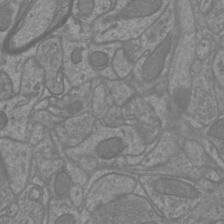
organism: Mouse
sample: Cortical neurons